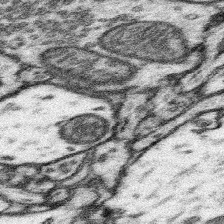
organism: Mouse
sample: Somatosensory cortex neuropil